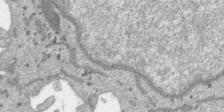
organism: Human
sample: Lung epithelial cells infected with SARS-CoV-2